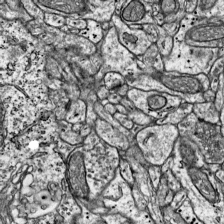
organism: Mouse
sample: Visual Cortex